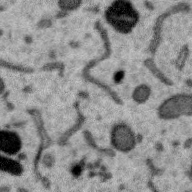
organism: Zebra finch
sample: Brain